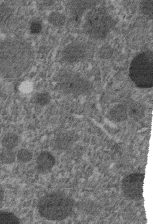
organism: C. elegans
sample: C. elegans embryo early stage